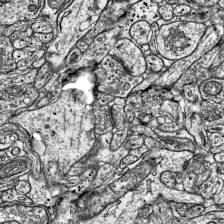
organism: Mouse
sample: Visual Cortex